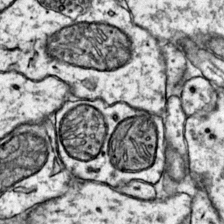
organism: Mouse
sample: Primary visual cortex